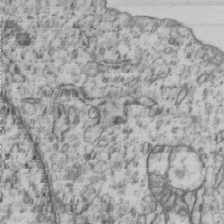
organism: Human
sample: MDA-MB-231 cells